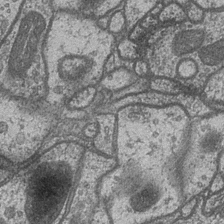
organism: Drosophila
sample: Optic medulla